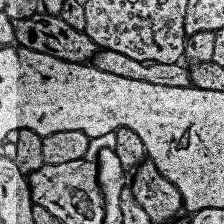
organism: Human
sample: Temporal Lobe